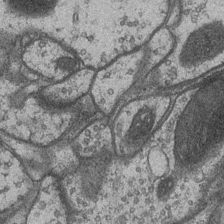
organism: Drosophila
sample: Optic medulla